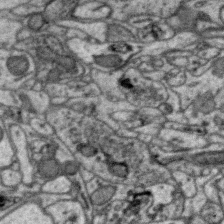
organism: Zebra finch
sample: Brain